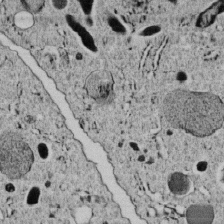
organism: C. elegans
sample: C. elegans embryo early stage